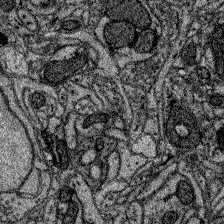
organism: Zebrafish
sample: Larval olfactory bulb